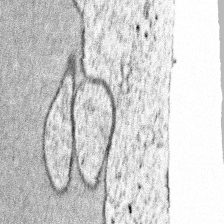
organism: Human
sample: HeLa cells